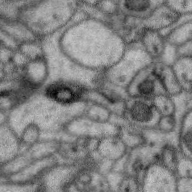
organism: Zebra finch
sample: Brain